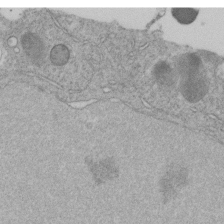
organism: C. elegans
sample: C. elegans embryo early stage